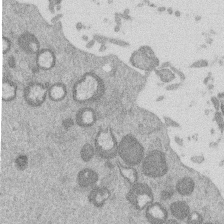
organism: Mouse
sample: Dividing mouse embryo 1 cell stage